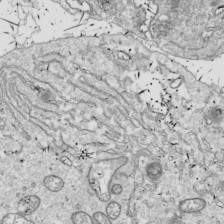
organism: Drosophila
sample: Cell division; meiosis; drosophila spermatocytes